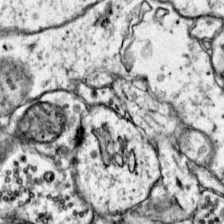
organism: Mouse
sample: Primary visual cortex